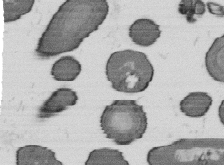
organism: B. subtilis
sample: Bacterial spore